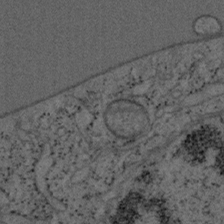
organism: Human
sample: HeLa cells